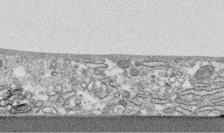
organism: Human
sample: CRL-1474